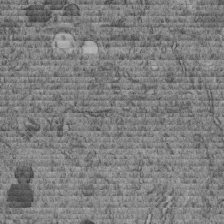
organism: C. elegans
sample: C. elegans embryo early stage